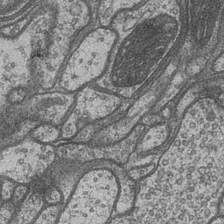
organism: Drosophila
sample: Optic medulla